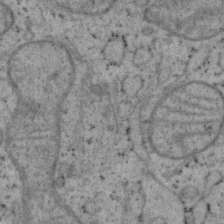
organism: Human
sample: HeLa cells